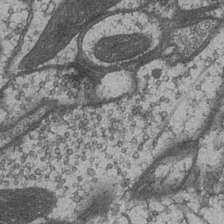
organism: Drosophila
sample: Optic medulla